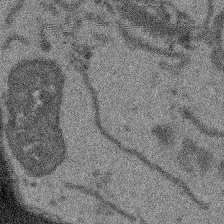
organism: Arabidopsis thaliana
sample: Root tip